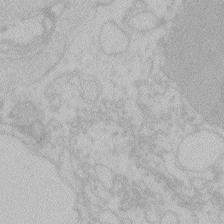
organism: Zebrafish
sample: Macrophage infected with Toxoplasma gondii